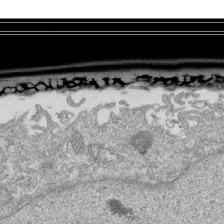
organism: Human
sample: HeLa cell HIV synapse